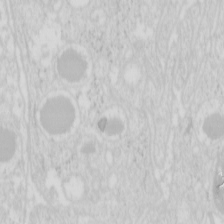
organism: Mouse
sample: Pancreas